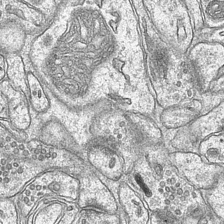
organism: Mouse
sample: CA1 Hippocampus